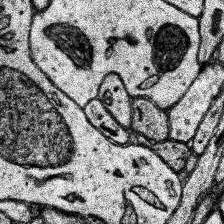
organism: Human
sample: Temporal Lobe